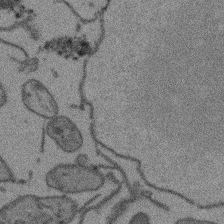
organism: Arabidopsis thaliana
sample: Root tip